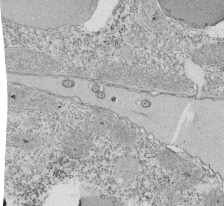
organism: Tetrahymena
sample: Cilia in tetrahymena